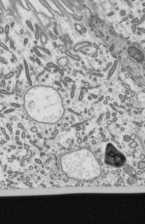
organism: Mouse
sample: Mouse epididymis efferent ductule cilia